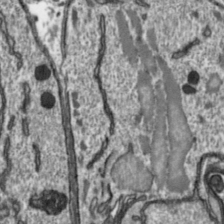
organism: Toxoplasma gondii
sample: Parasites in a vacuole inside a host cell